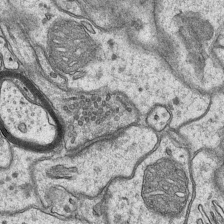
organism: Mouse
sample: CA1 Hippocampus